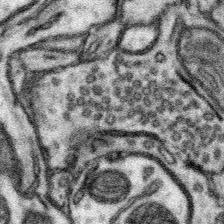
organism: Mouse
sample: Somatosensory cortex neuropil